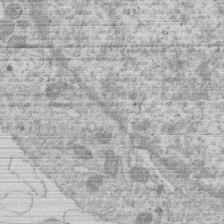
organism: Human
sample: Macrophage cells